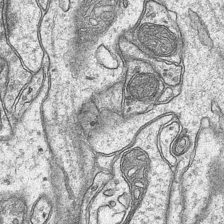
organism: Mouse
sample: CA1 Hippocampus